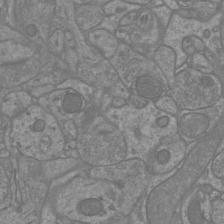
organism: Mouse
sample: Cortical neurons